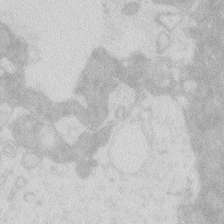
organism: Zebrafish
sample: Macrophage